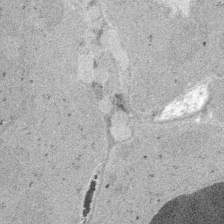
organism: Embia sp.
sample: Silk gland